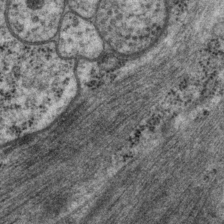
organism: P. pacificus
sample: Pharynx